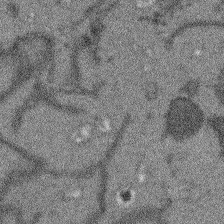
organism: Arabidopsis thaliana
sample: Root tip